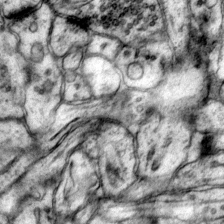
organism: Mouse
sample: Primary visual cortex